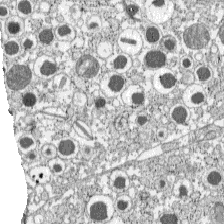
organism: C57BL Mouse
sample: Pancreatic islet